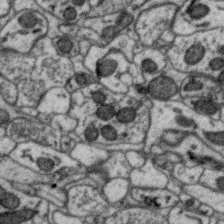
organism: Zebra finch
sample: Brain